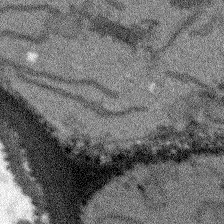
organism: Arabidopsis thaliana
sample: Root tip